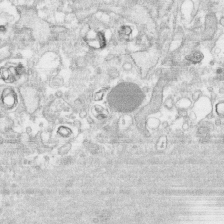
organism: Human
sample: CRL-1474